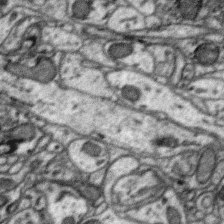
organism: Zebra finch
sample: Brain